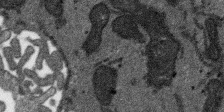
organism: Human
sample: Lung epithelial cells infected with SARS-CoV-2